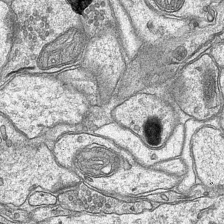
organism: Mouse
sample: CA1 Hippocampus